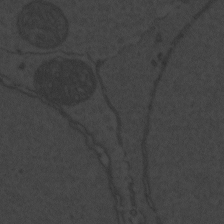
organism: Zebrafish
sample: Macrophage infected with Toxoplasma gondii